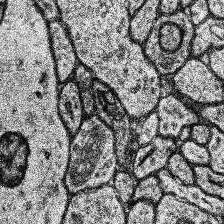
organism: Human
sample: Temporal Lobe